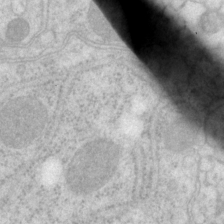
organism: P. pacificus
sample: Pharynx